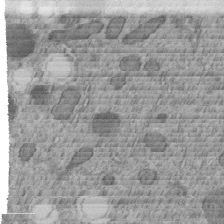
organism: C. elegans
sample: C. elegans embryo early stage